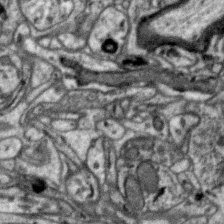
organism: Zebra finch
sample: Brain